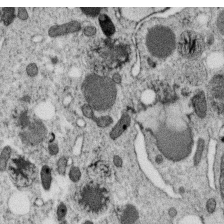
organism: C. elegans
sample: C. elegans oocyte; sperm cells